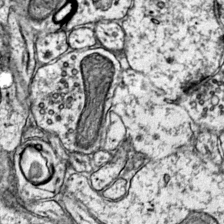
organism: Mouse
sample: Primary visual cortex